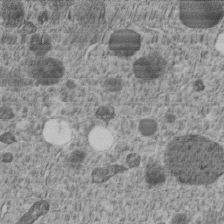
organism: C. elegans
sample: C. elegans embryo early stage